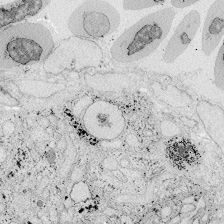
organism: Zebrafish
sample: Whole-Brain